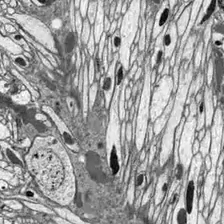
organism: Drosophila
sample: Optic lobe